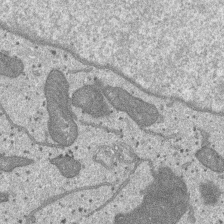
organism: Human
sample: Lung epithelial cells infected with SARS-CoV-2